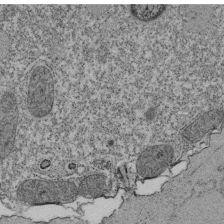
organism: Tetrahymena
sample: Cilia in tetrahymena